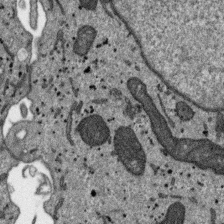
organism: Human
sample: Lung epithelial cells, uninfected (mock) control